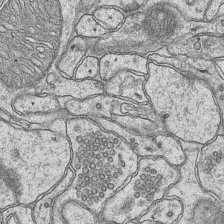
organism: Mouse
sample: CA1 Hippocampus